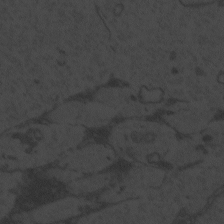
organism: Zebrafish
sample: Macrophage infected with Toxoplasma gondii